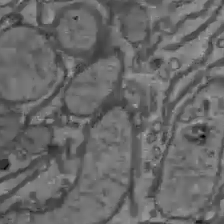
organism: C57BL Mouse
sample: Liver